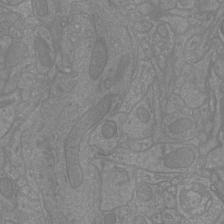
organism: Mouse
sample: Cortical neurons